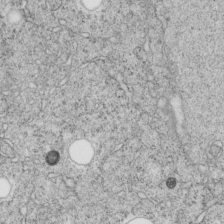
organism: C. elegans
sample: C. elegans embryo early stage